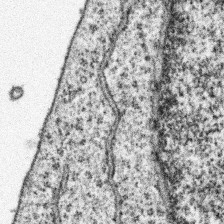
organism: Human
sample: HeLa cells